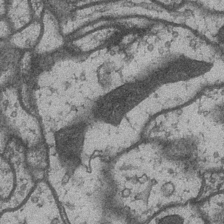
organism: Drosophila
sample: Optic medulla